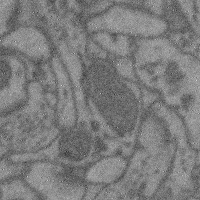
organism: Mouse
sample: Cerebral cortex